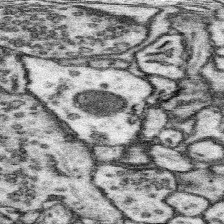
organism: Mouse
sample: Somatosensory cortex neuropil